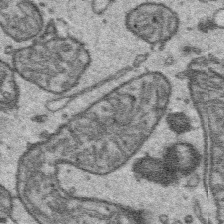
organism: Platynereis dumerilii